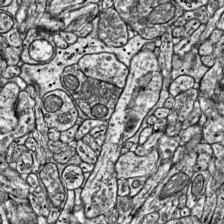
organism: Mouse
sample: Visual Cortex